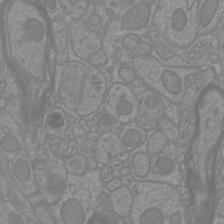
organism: Mouse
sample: Cortical neurons